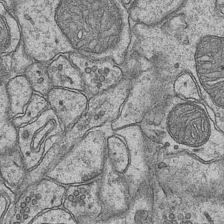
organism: Mouse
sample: CA1 Hippocampus